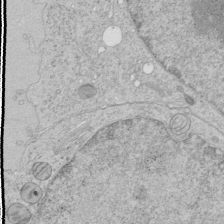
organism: Human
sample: Mitochondria in HCT116 cells